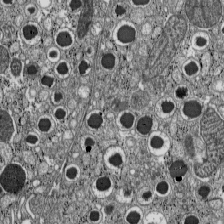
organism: C57BL Mouse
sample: Pancreatic islet